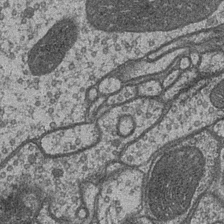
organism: Drosophila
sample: Optic medulla